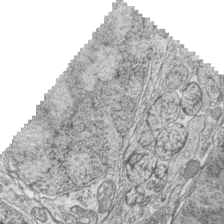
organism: Zebrafish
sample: synaptic ribbons in rod cells and cone cells